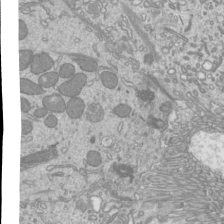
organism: Mouse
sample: Cilia; mouse epididymis